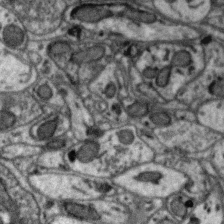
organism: Zebra finch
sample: Brain